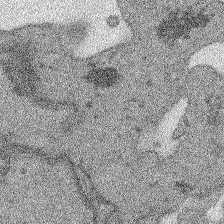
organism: Human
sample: HeLa cells